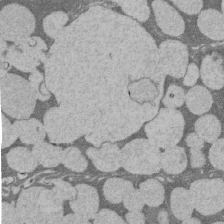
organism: Rat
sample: Salivary granule